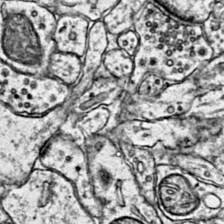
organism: Mouse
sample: Primary visual cortex